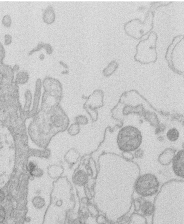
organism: Human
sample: Macrophage cells